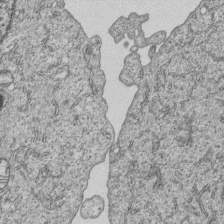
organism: Human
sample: MDA-MB-231 cells